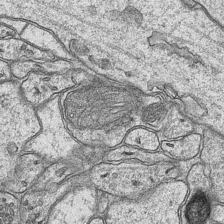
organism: Mouse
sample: CA1 Hippocampus